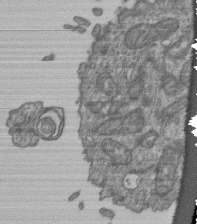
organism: Human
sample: Retinal organoid Rod and Cone cells